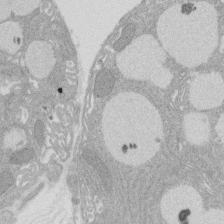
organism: Rat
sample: Salivary granule